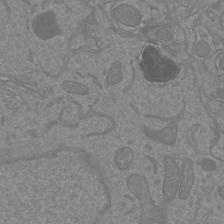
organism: Mouse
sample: Cortical neurons